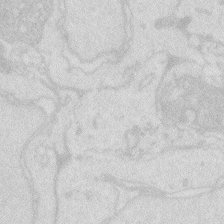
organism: Zebrafish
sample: Macrophage